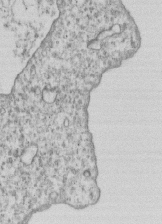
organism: Human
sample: MDA-MB-231 cells